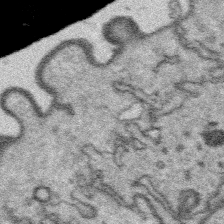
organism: Platynereis dumerilii